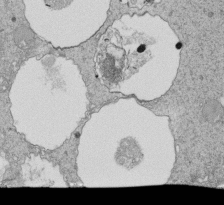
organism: Tetrahymena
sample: Cilia in tetrahymena